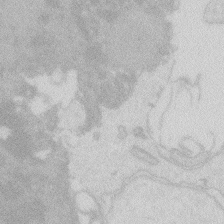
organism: Zebrafish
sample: Macrophage